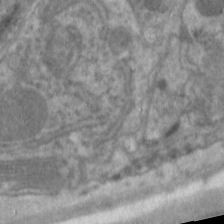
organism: C. elegans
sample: Pharynx